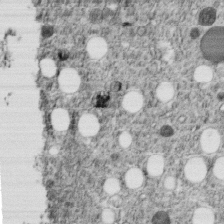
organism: C. elegans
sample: C. elegans embryo early stage